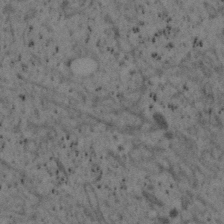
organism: Human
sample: HeLa cells